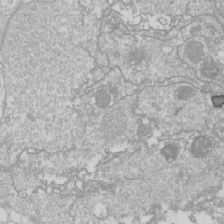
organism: Drosophila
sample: Cell division; meiosis; drosophila spermatocytes